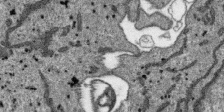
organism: Human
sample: Lung epithelial cells, uninfected (mock) control